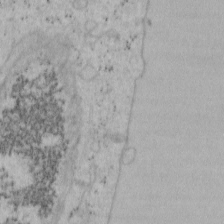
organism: Human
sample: HeLa cells